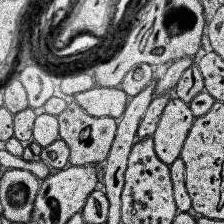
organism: Human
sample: Temporal Lobe